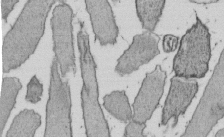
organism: E. coli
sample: Bacterial nucleoid